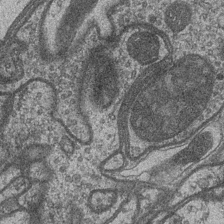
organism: Drosophila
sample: Optic medulla